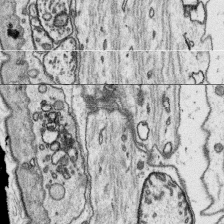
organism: Platynereis dumerilii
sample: Parapodia